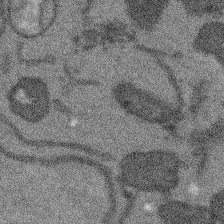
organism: Arabidopsis thaliana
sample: Root tip